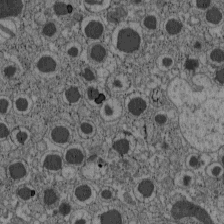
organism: C57BL Mouse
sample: Pancreatic islet